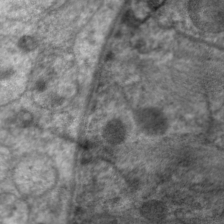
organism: C. elegans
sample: Pharynx